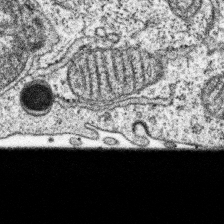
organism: Human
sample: HeLa cells